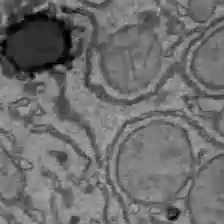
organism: C57BL Mouse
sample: Liver